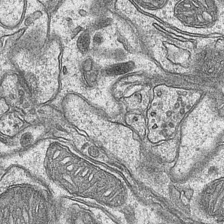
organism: Mouse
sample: CA1 Hippocampus